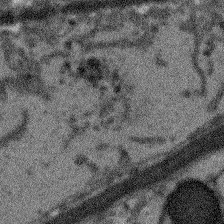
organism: Arabidopsis thaliana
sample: Root tip